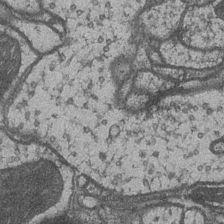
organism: Drosophila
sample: Optic medulla